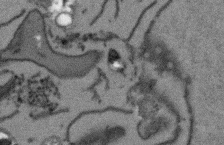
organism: Arabidopsis thaliana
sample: Root tip